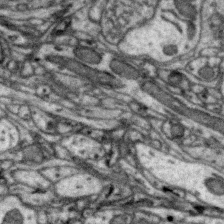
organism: Zebra finch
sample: Brain